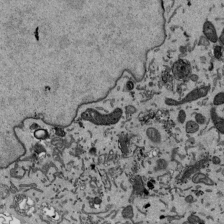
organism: Mouse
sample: ED-1 cell nuclei; centrioles